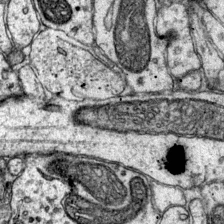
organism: Mouse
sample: Primary visual cortex